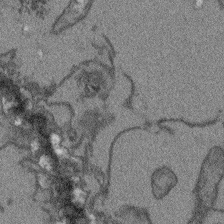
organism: Arabidopsis thaliana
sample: Root tip